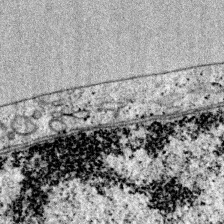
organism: Human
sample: HeLa cells